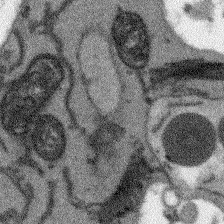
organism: Arabidopsis thaliana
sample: Root tip